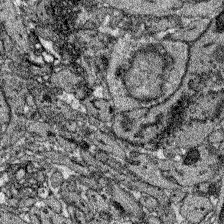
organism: Zebrafish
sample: Larval olfactory bulb